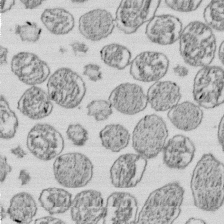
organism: E. coli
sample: Bacterial nucleoid